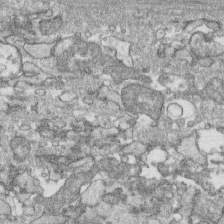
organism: Human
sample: CRL-1474